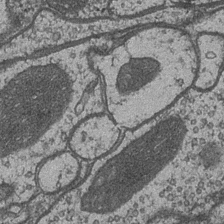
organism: Drosophila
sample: Optic medulla